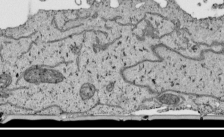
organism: Human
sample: Mitochondria in HCT116 cells